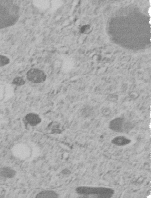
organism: C. elegans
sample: C. elegans embryo early stage